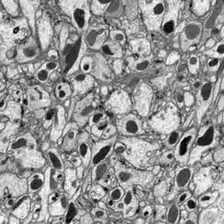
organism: Drosophila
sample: Optic lobe